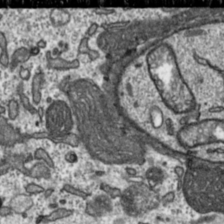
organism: Toxoplasma gondii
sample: Parasites in a vacuole inside a host cell